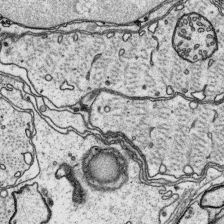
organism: Platynereis dumerilii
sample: Parapodia